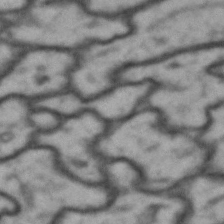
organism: Drosophila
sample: Brain